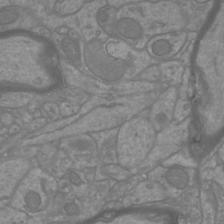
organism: Mouse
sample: Cortical neurons